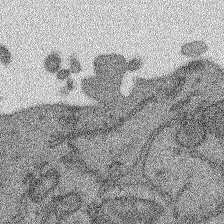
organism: Human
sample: HeLa cells